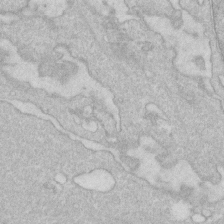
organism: Human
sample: Fibroblast cells